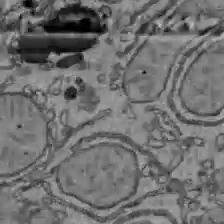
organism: C57BL Mouse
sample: Liver